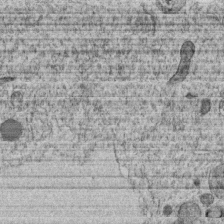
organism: C. elegans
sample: C. elegans embryo early stage